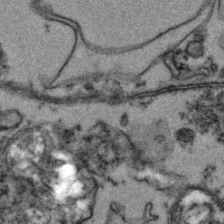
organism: Zebrafish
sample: Zebrafish embryo